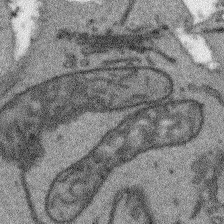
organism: Arabidopsis thaliana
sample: Root tip